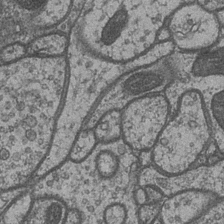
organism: Drosophila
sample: Optic medulla